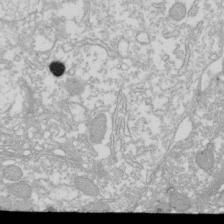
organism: Xenopus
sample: Cilia; centrioles in frog embryo cells